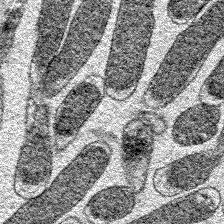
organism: E. coli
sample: E. Coli Bacteria